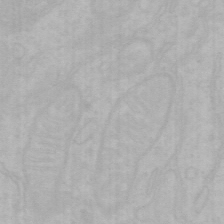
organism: Mouse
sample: Choroid plexus